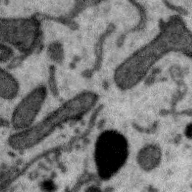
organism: Zebra finch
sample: Brain